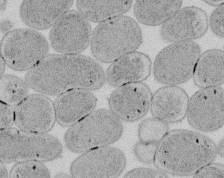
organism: E. coli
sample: Bacterial nucleoid